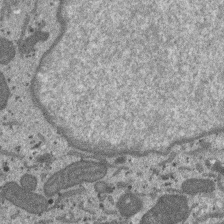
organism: Human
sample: Lung epithelial cells infected with SARS-CoV-2